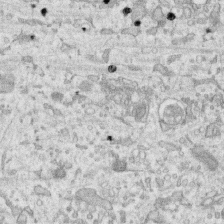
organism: Human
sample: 1205lu cells